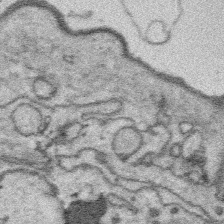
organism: Platynereis dumerilii